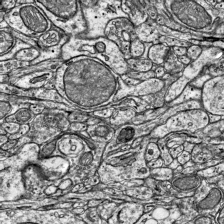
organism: Mouse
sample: Visual Cortex